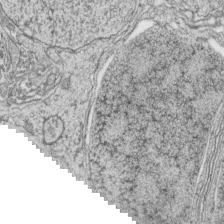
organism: Zebrafish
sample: synaptic ribbons in rod cells and cone cells